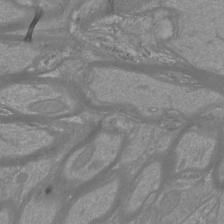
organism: Mouse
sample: Cortical neurons